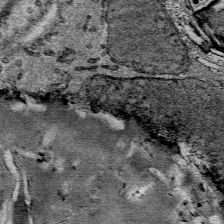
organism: Mouse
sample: Mouse Salivary gland